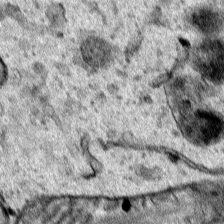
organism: Human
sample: Mitochondria in HCT116 cells